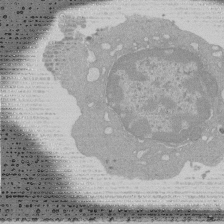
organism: Mouse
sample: Activated Pmel transgenic CD8+ T Cells